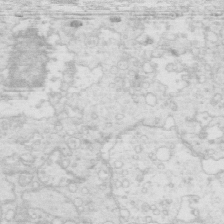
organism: Mouse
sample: Multiciliated cells